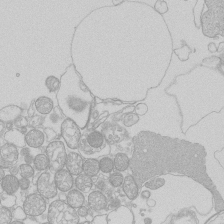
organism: Human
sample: Macrophage cells